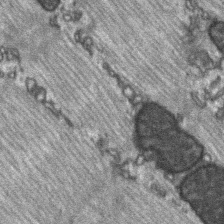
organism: C57BL Mouse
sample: Soleus